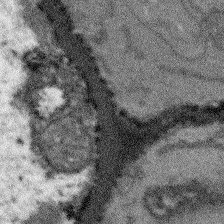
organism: Arabidopsis thaliana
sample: Root tip